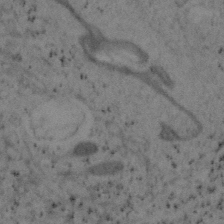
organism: Human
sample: HeLa cells